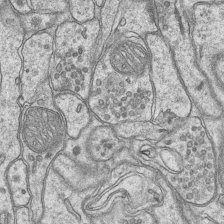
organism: Mouse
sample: CA1 Hippocampus